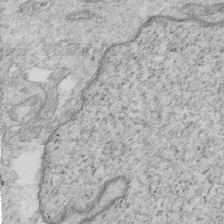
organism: Mouse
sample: Multiciliated cells